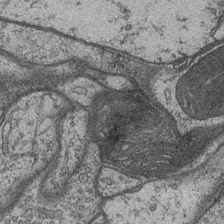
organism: Drosophila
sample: Optic medulla